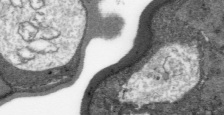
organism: Plasmodium falciparum